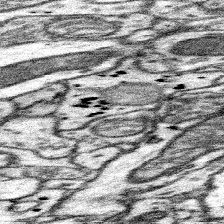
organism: Mouse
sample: Somatosensory cortex neuropil